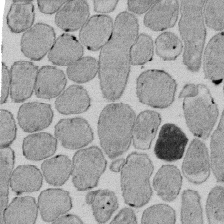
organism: E. coli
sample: Bacterial nucleoid